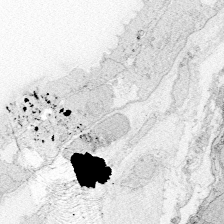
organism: Zebrafish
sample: Whole-Brain